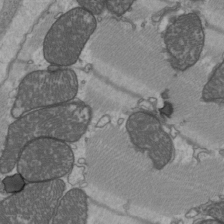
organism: C57BL Mouse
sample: Heart